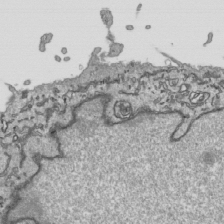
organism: Human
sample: Mitochondria in HCT116 cells